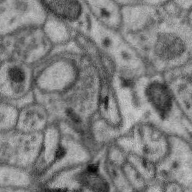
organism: Zebra finch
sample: Brain